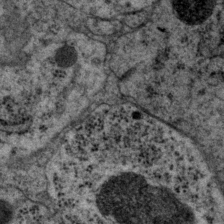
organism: P. pacificus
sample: Pharynx